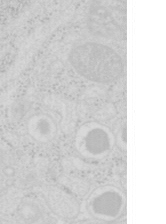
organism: Mouse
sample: Pancreas